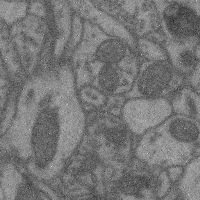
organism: Mouse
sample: Cerebral cortex